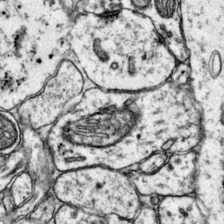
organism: Mouse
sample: Primary visual cortex